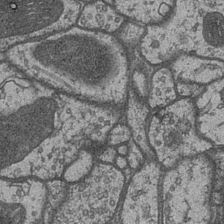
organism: Drosophila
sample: Optic medulla